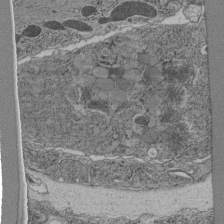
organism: C. elegans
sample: C. elegans pharynx